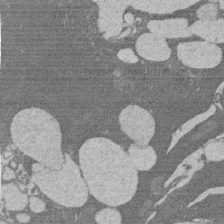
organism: Rat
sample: Salivary granule